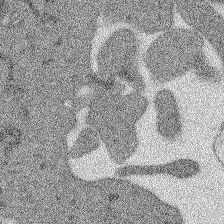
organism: Human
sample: HeLa cells